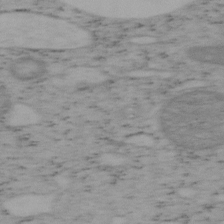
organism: Mouse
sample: OT-I killer T cells with ID8 ovarian cancer cells